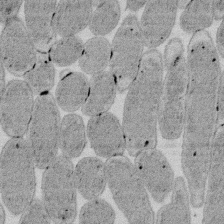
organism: E. coli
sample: Bacterial nucleoid